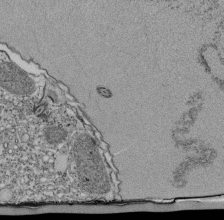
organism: Tetrahymena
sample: Cilia in tetrahymena